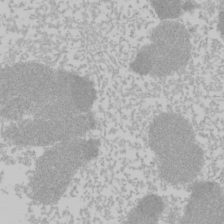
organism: Mouse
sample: Cancer cell death in ED-1 cells